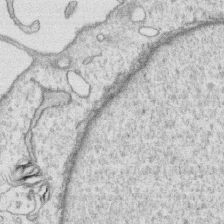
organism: Human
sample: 1205lu cells